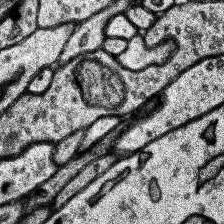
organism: Human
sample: Temporal Lobe